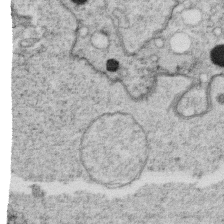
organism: C. elegans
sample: C. elegans oocyte; sperm cells